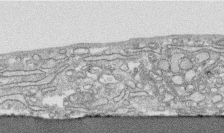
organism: Human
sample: CRL-1474